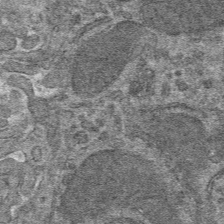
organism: Mouse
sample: Mouse hepatocytes